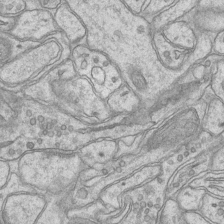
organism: Mouse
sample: CA1 Hippocampus